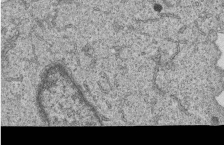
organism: Human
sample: MDA-MB-231 cells